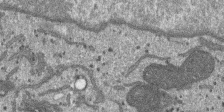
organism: Human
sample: Lung epithelial cells infected with SARS-CoV-2